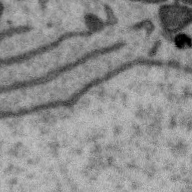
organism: Zebra finch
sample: Brain